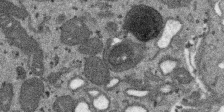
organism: Human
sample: Lung epithelial cells infected with SARS-CoV-2